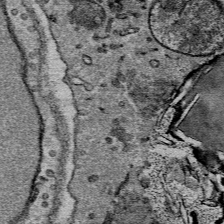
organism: Mouse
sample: Mouse Salivary gland